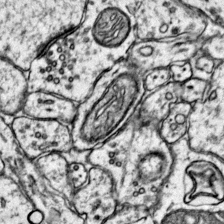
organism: Mouse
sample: Primary visual cortex